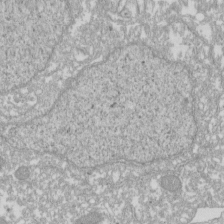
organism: Xenopus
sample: Cilia; centrioles in frog embryo cells